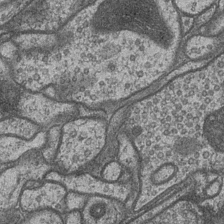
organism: Drosophila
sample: Optic medulla